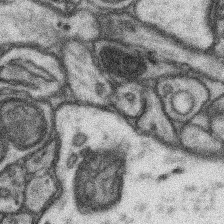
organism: Mouse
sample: Somatosensory cortex neuropil